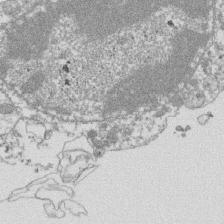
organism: Human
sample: HeLa cell HIV synapse